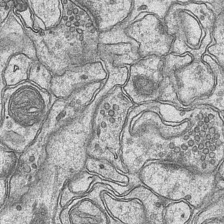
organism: Mouse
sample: CA1 Hippocampus